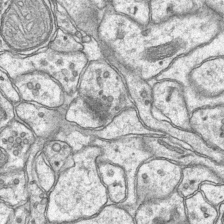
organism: Mouse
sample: CA1 Hippocampus